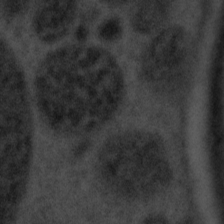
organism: Tuwongella immobilis